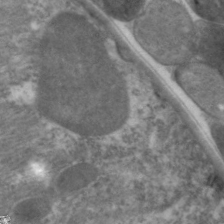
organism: C. elegans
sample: Pharynx